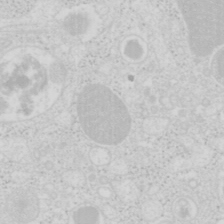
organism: Mouse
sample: Pancreas